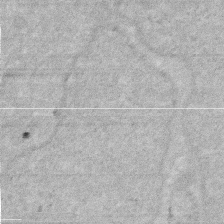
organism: Human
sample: HIV infected U937 cells